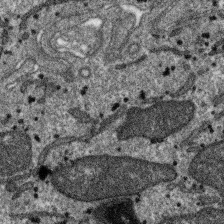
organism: Human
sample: Lung epithelial cells infected with SARS-CoV-2